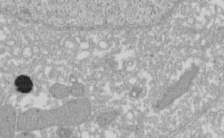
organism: Xenopus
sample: Cilia; centrioles in frog embryo cells